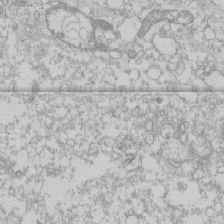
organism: Human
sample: CRL-1474